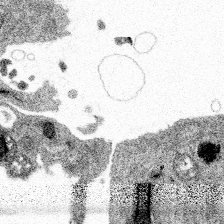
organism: Spongilla lacustris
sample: Multiple